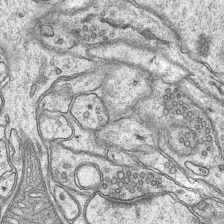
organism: Mouse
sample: CA1 Hippocampus